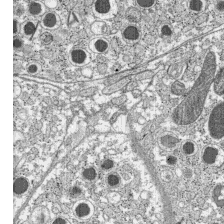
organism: C57BL Mouse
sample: Pancreatic islet